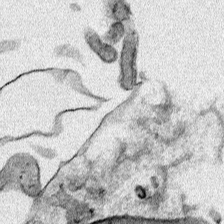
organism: Human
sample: Mitochondria in HCT116 cells